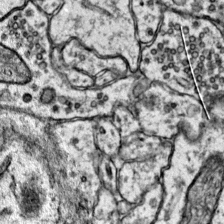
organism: Mouse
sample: Primary visual cortex